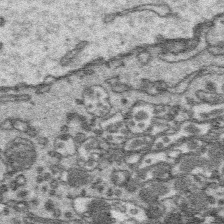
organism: Platynereis dumerilii